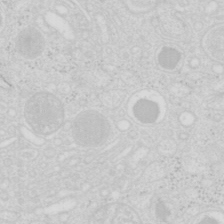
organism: Mouse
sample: Pancreas